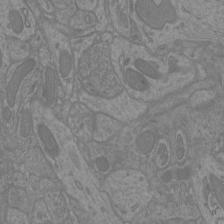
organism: Mouse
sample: Cortical neurons